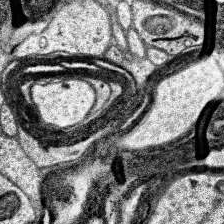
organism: Human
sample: Temporal Lobe